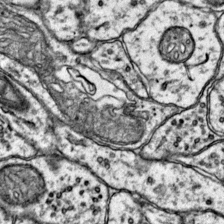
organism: Mouse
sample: Primary visual cortex